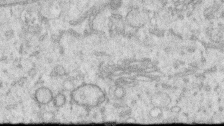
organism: Human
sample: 1205lu cells